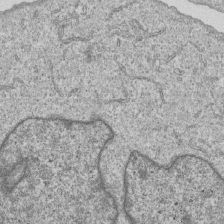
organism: Human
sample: MDA-MB-231 cells